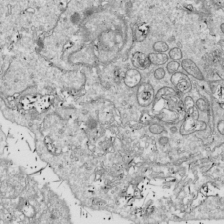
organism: Drosophila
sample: Cell division; meiosis; drosophila spermatocytes